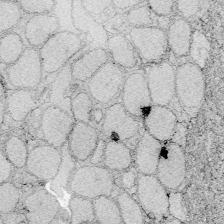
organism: Zebrafish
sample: Whole-Brain